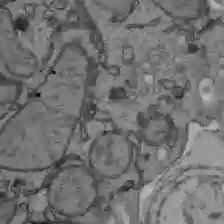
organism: C57BL Mouse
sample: Liver